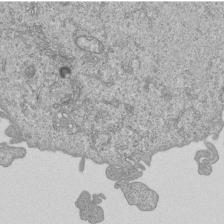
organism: Human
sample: MDA-MB-231 cells